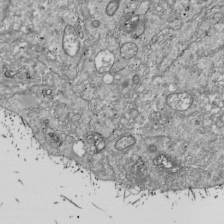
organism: Drosophila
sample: Cell division; meiosis; drosophila spermatocytes